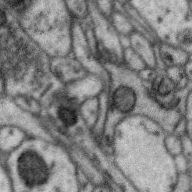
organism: Zebra finch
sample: Brain